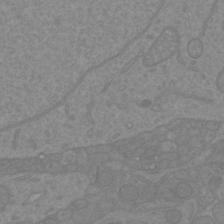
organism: Mouse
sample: Cortical neurons